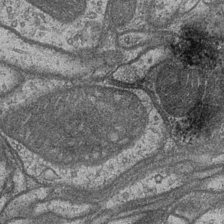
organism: Drosophila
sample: Optic medulla